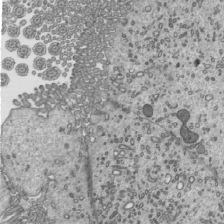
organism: Mouse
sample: Mouse epididymis efferent ductule cilia